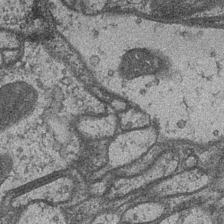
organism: Drosophila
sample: Optic medulla